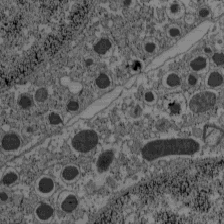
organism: C57BL Mouse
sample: Pancreatic islet